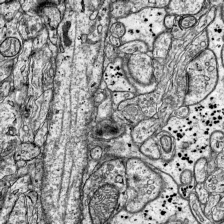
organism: Mouse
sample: Visual Cortex